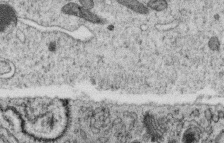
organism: C. elegans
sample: C. elegans oocyte; sperm cells